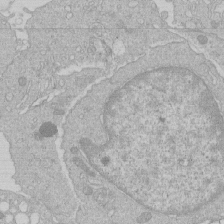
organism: Human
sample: Macrophage cells